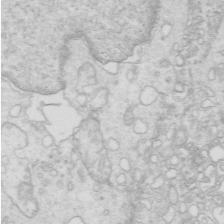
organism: Mouse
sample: Multiciliated cells